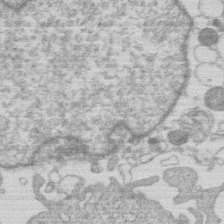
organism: Human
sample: Macrophage cells